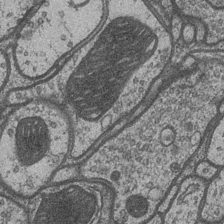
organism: Drosophila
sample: Optic medulla